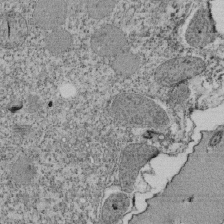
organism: Tetrahymena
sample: Cilia in tetrahymena